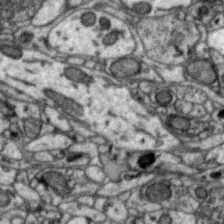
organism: Zebra finch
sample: Brain